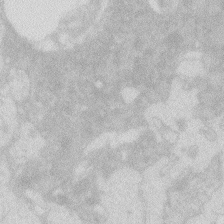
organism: Zebrafish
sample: Macrophage